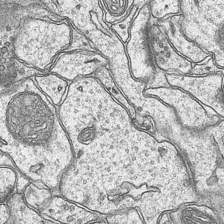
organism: Mouse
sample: CA1 Hippocampus